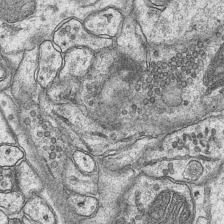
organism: Mouse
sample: CA1 Hippocampus